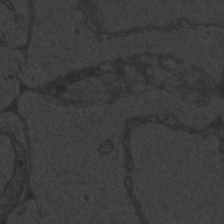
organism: Zebrafish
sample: Macrophage infected with Toxoplasma gondii